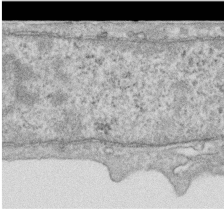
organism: Human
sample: Centriole in RPE cells